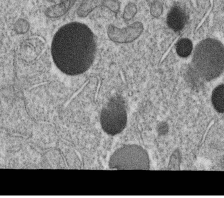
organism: C. elegans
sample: C. elegans oocyte; sperm cells